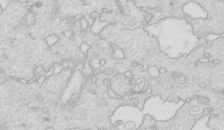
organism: Mouse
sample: Multiciliated cells